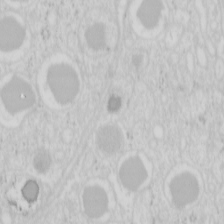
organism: Mouse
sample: Pancreas